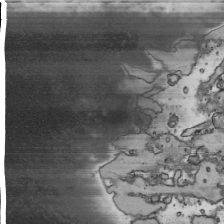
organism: Human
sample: Mitochondria in HCT116 cells